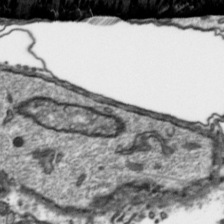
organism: Toxoplasma gondii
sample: Parasites in a vacuole inside a host cell